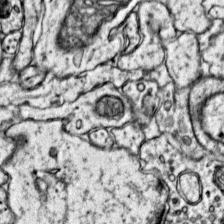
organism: Mouse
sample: Primary visual cortex